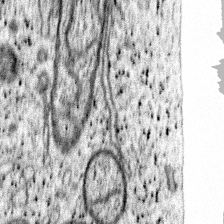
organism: Human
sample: HeLa cells